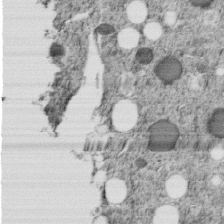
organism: C. elegans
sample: C. elegans embryo early stage